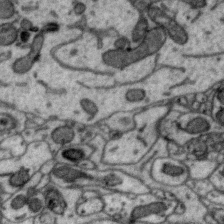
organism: Zebra finch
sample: Brain